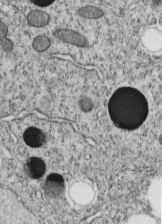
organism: C. elegans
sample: C. elegans embryo early stage